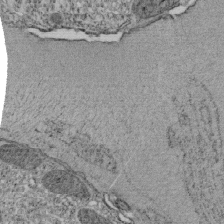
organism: Tetrahymena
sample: Cilia in tetrahymena